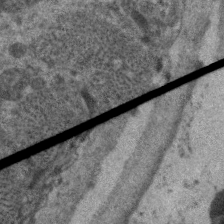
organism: C. elegans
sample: Pharynx